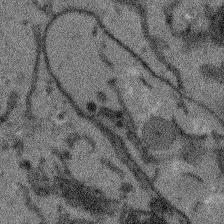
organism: Arabidopsis thaliana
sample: Root tip